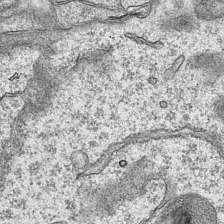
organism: Mouse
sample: CA1 Hippocampus